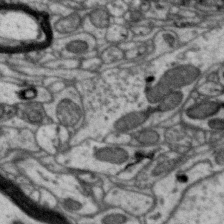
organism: Zebra finch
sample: Brain